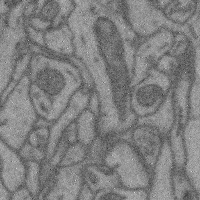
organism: Mouse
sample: Cerebral cortex